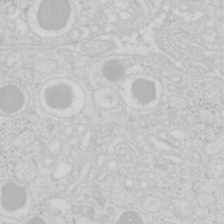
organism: Mouse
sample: Pancreas